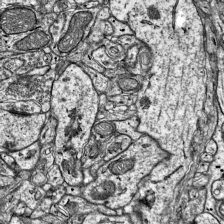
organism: Mouse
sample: Visual Cortex